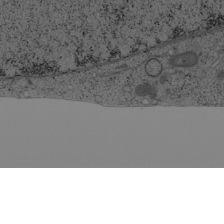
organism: African green monkey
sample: COS-7 cells